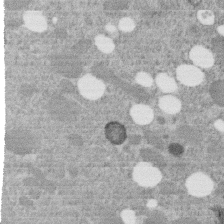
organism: C. elegans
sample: C. elegans embryo early stage